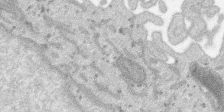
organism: Human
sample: Lung epithelial cells infected with SARS-CoV-2